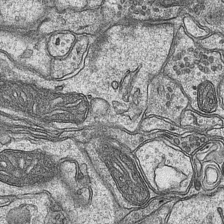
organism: Mouse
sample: CA1 Hippocampus